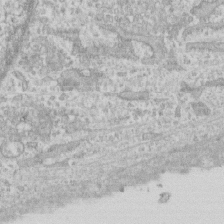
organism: Human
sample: CRL-1474